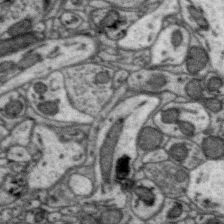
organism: Zebra finch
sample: Brain